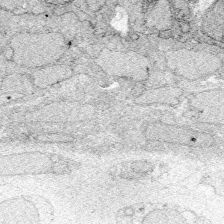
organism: Zebrafish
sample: Whole-Brain